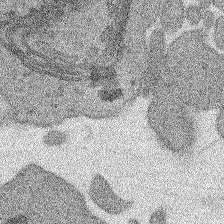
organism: Human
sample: HeLa cells